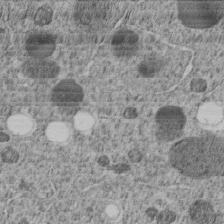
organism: C. elegans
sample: C. elegans embryo early stage